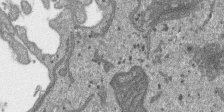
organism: Human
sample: Lung epithelial cells infected with SARS-CoV-2